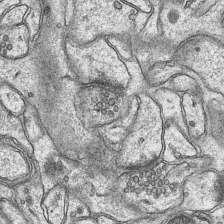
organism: Mouse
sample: CA1 Hippocampus